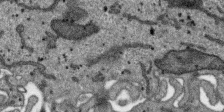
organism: Human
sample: Lung epithelial cells, uninfected (mock) control